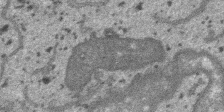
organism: Human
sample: Lung epithelial cells infected with SARS-CoV-2